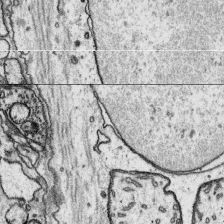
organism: Platynereis dumerilii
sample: Parapodia